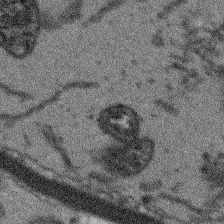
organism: Arabidopsis thaliana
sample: Root tip